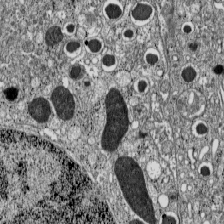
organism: C57BL Mouse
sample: Pancreatic islet